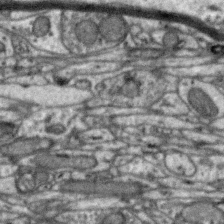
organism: Zebra finch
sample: Brain